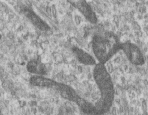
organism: Human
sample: Centriole in RPE cells